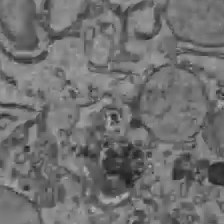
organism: C57BL Mouse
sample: Liver